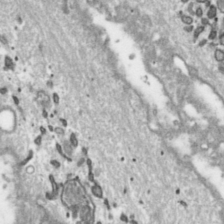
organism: Toxoplasma gondii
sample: Parasites in a vacuole inside a host cell